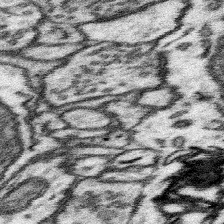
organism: Mouse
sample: Somatosensory cortex neuropil